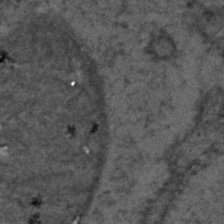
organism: C. elegans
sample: C. elegans embryo